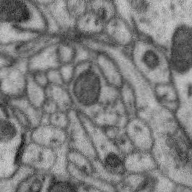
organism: Zebra finch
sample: Brain